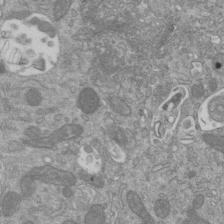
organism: Mouse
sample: ED-1 cell nuclei; centrioles